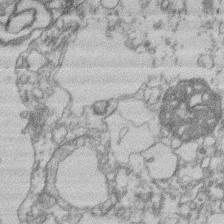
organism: Mouse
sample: T cell stromal cell synapse